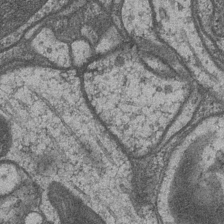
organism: Drosophila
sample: Optic medulla